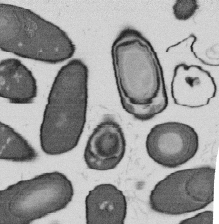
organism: B. subtilis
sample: Bacterial spore